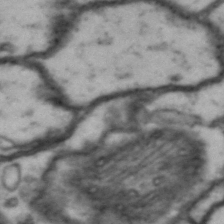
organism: Drosophila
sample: Brain